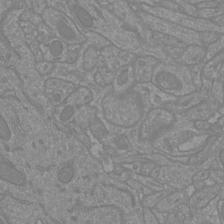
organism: Mouse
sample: Cortical neurons